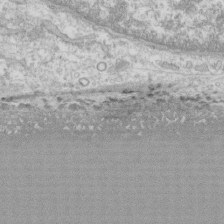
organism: Human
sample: CRL-1474